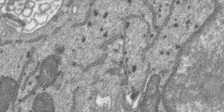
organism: Human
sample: Lung epithelial cells infected with SARS-CoV-2